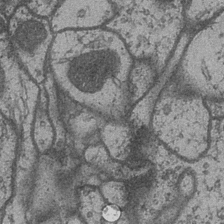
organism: Drosophila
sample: Optic medulla